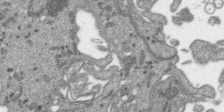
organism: Human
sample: Lung epithelial cells infected with SARS-CoV-2